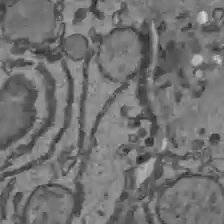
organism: C57BL Mouse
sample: Liver